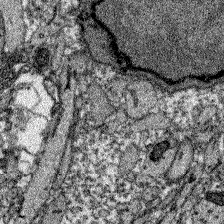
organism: Zebrafish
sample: Larval olfactory bulb